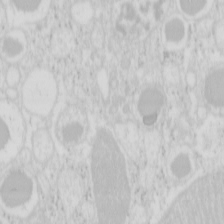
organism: Mouse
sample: Pancreas